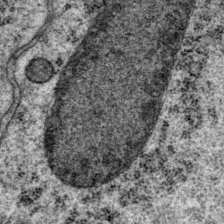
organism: P. pacificus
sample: Pharynx